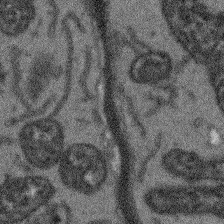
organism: Arabidopsis thaliana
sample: Root tip